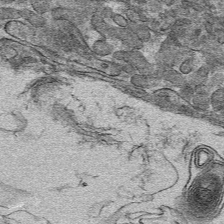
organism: Mouse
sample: Mouse hepatocytes